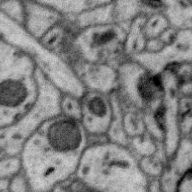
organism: Zebra finch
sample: Brain